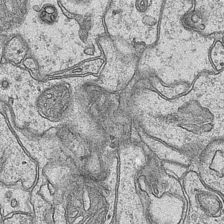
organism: Mouse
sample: CA1 Hippocampus